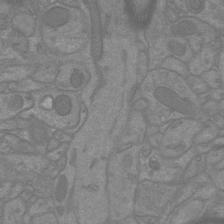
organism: Mouse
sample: Cortical neurons